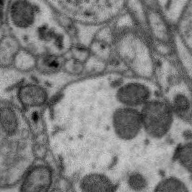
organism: Zebra finch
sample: Brain